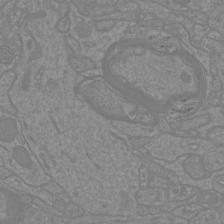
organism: Mouse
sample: Cortical neurons